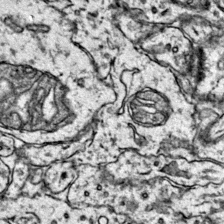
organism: Mouse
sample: Primary visual cortex